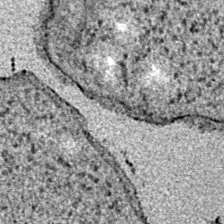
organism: E. coli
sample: E. Coli Bacteria